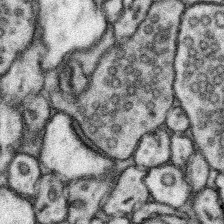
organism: Mouse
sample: Somatosensory cortex neuropil